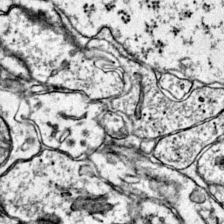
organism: Mouse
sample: Primary visual cortex